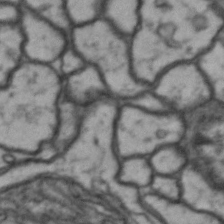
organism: Drosophila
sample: Brain